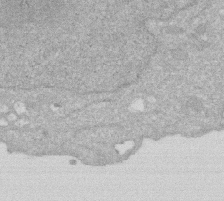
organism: Human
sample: HIV infected U937 cells